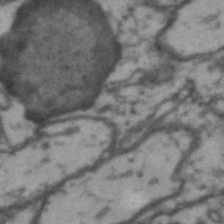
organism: Drosophila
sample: Brain